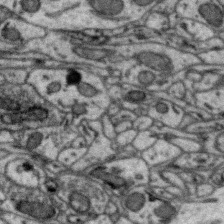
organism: Zebra finch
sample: Brain